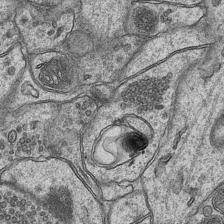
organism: Mouse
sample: CA1 Hippocampus